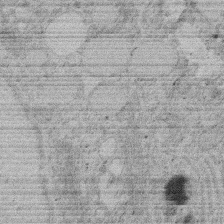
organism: Rat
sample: Salivary granule